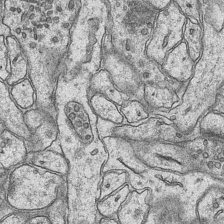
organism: Mouse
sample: CA1 Hippocampus